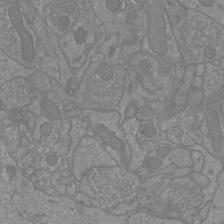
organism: Mouse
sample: Cortical neurons